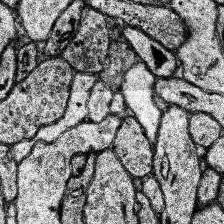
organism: Human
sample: Temporal Lobe